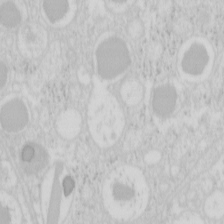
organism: Mouse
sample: Pancreas